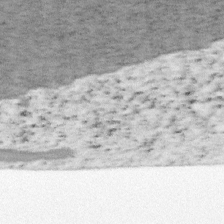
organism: Mouse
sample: OT-I killer T cells with ID8 ovarian cancer cells